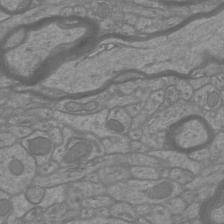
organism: Mouse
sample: Cortical neurons